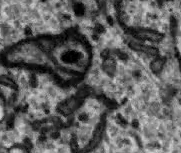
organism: Human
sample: HeLa cells